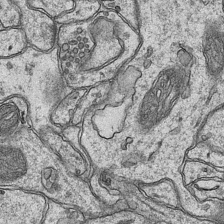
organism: Mouse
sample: CA1 Hippocampus